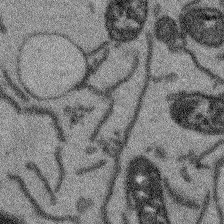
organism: Arabidopsis thaliana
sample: Root tip